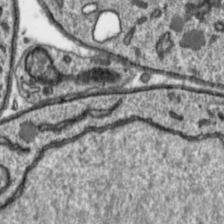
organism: Toxoplasma gondii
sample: Parasites in a vacuole inside a host cell